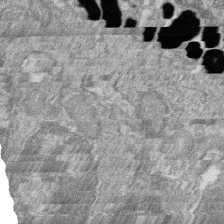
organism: Zebrafish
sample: Cilia; retinal pigment epithelium